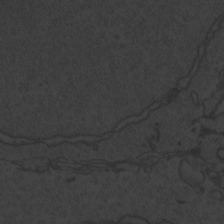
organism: Zebrafish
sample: Macrophage infected with Toxoplasma gondii